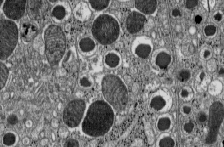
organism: C57BL Mouse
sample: Pancreatic islet